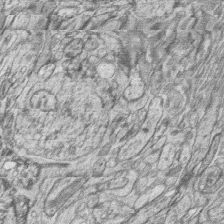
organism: Zebrafish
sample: synaptic ribbons in rod cells and cone cells